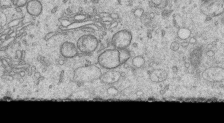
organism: Human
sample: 1205lu cells